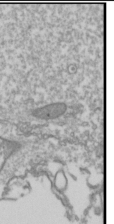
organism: Drosophila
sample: Cell division; meiosis; drosophila spermatocytes